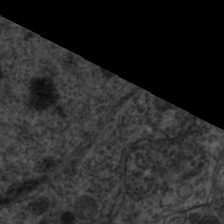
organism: C. elegans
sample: Pharynx